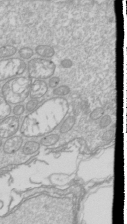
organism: Drosophila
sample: Cell division; meiosis; drosophila spermatocytes